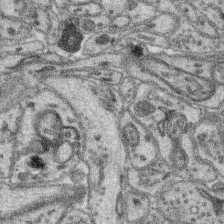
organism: Mouse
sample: Retina